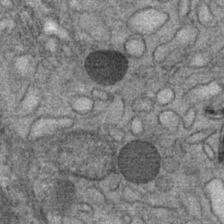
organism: Mouse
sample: Mouse Salivary gland